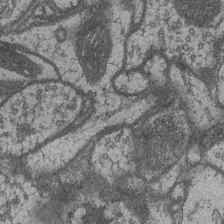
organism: Drosophila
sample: Optic medulla